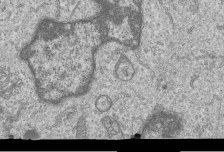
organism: Human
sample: MDA-MB-231 cells